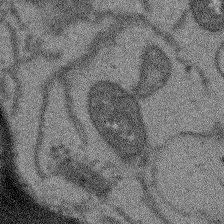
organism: Arabidopsis thaliana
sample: Root tip